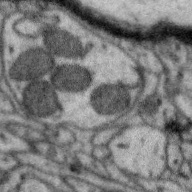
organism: Zebra finch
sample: Brain